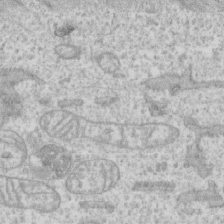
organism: Human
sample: CRL-1474